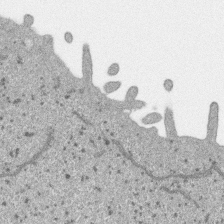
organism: Human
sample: Lung epithelial cells infected with SARS-CoV-2